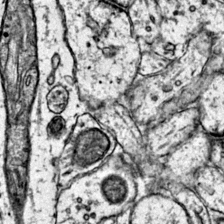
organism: Mouse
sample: Primary visual cortex